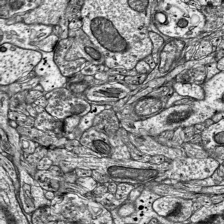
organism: Mouse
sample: Visual Cortex